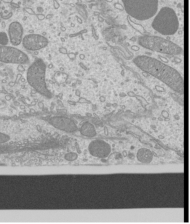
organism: Mouse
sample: Cilia; mouse epididymis